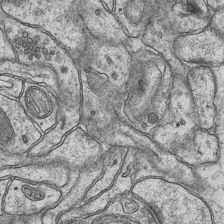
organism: Mouse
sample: CA1 Hippocampus